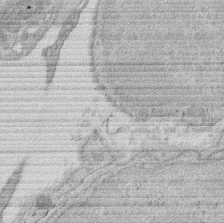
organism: Rat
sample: Salivary granule